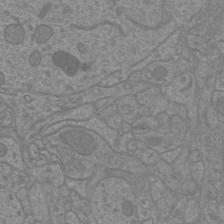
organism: Mouse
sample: Cortical neurons